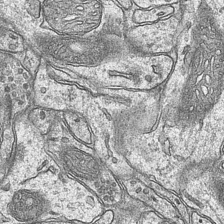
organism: Mouse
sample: CA1 Hippocampus